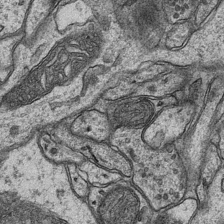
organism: Mouse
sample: CA1 Hippocampus